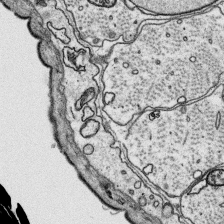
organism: Platynereis dumerilii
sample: Parapodia